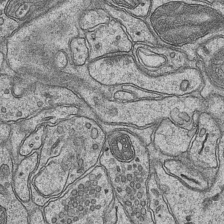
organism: Mouse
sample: CA1 Hippocampus